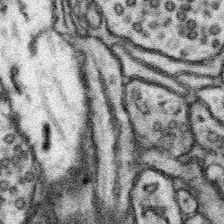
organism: Mouse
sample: Somatosensory cortex neuropil